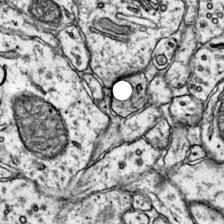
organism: Mouse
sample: Primary visual cortex